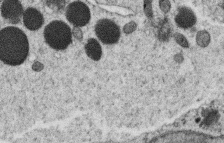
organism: C. elegans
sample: C. elegans oocyte; sperm cells